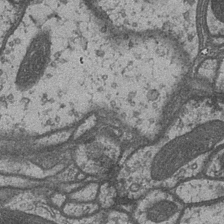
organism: Drosophila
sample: Optic medulla